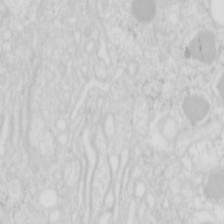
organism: Mouse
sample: Pancreas